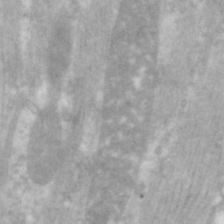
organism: C. elegans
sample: Pharynx